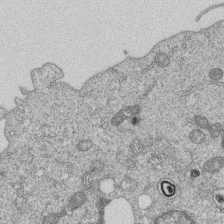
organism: Human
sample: MDA-MB-231 cells